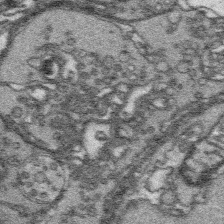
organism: Platynereis dumerilii